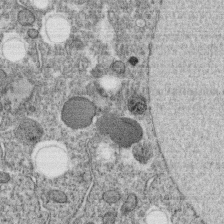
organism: C. elegans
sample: C. elegans oocyte; sperm cells